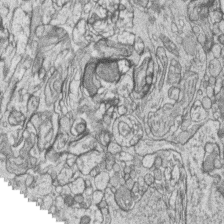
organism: Zebrafish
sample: synaptic ribbons in rod cells and cone cells